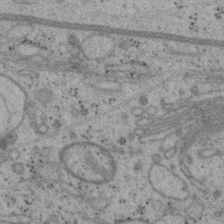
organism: Human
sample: HeLa cells